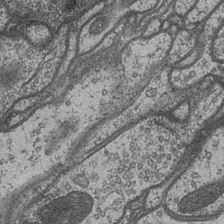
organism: Drosophila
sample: Optic medulla